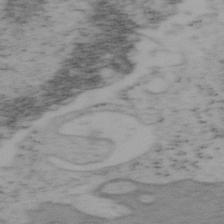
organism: Mouse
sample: OT-I killer T cells with ID8 ovarian cancer cells